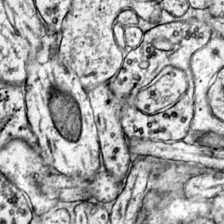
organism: Mouse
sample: Primary visual cortex